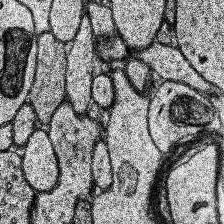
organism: Human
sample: Temporal Lobe